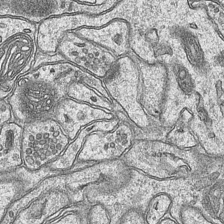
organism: Mouse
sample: CA1 Hippocampus